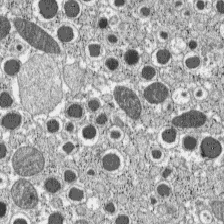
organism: C57BL Mouse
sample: Pancreatic islet